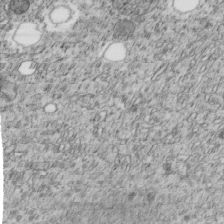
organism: C. elegans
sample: C. elegans embryo early stage